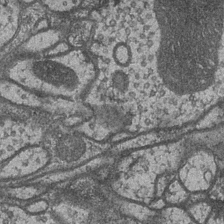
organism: Drosophila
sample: Optic medulla